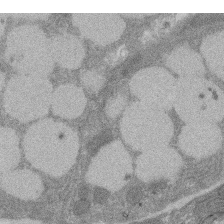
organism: Rat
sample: Salivary granule